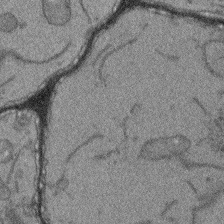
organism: Arabidopsis thaliana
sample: Root tip